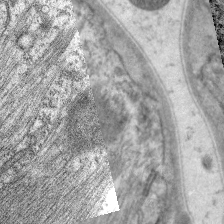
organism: C. elegans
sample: Pharynx